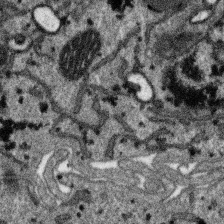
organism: Human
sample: Lung epithelial cells infected with SARS-CoV-2